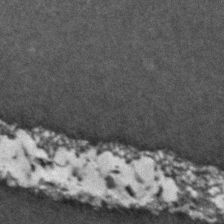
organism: Zebrafish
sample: Zebrafish embryo